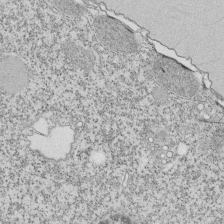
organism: Tetrahymena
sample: Cilia in tetrahymena